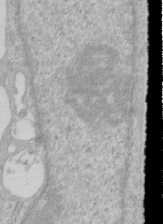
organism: Human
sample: Centriole in RPE cells